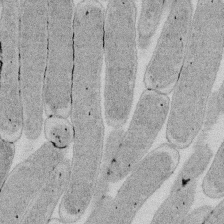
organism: E. coli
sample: Bacterial nucleoid